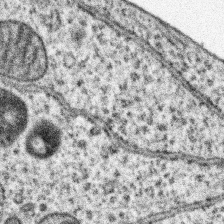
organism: Human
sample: HeLa cells